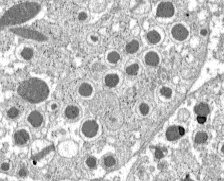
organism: C57BL Mouse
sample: Pancreatic islet